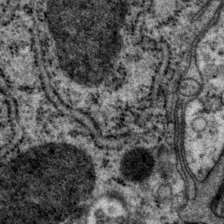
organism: P. pacificus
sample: Pharynx